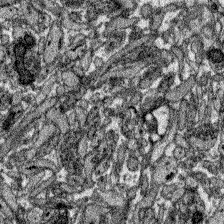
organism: Zebrafish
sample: Larval olfactory bulb